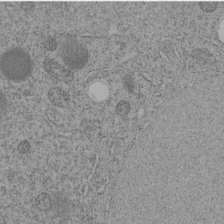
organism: C. elegans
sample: C. elegans embryo early stage